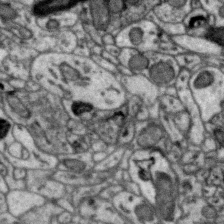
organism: Zebra finch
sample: Brain